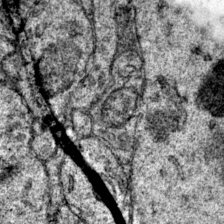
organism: Mouse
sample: Primary visual cortex